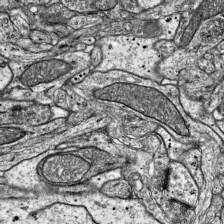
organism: Mouse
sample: Visual Cortex